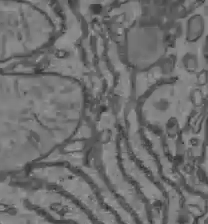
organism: C57BL Mouse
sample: Liver